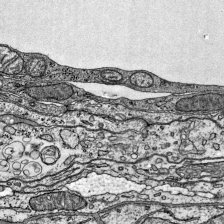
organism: Mouse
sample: Visual Cortex